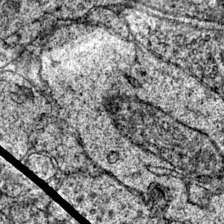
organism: Mouse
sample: Primary visual cortex